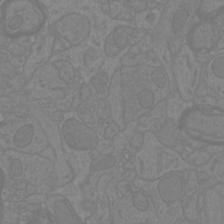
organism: Mouse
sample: Cortical neurons